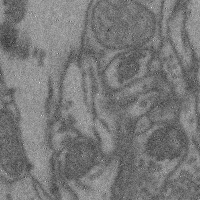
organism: Mouse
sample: Cerebral cortex